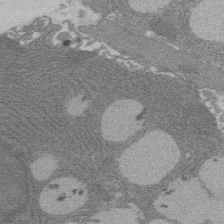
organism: Rat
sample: Salivary granule